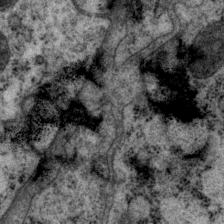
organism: P. pacificus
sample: Pharynx